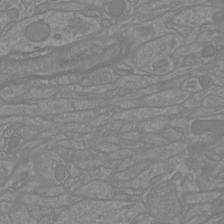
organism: Mouse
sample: Cortical neurons